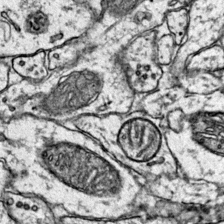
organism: Mouse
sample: Primary visual cortex